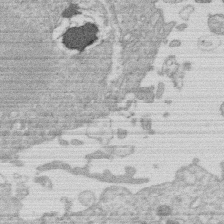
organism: Human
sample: Macrophage cells